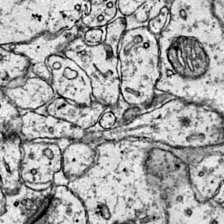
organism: Mouse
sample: Primary visual cortex